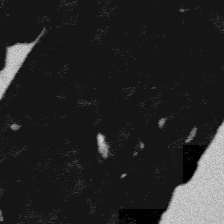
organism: Platynereis dumerilii